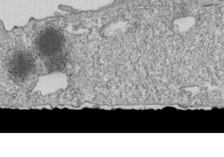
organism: Human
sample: HeLa cell HIV synapse